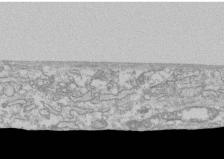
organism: Human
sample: CRL-1474